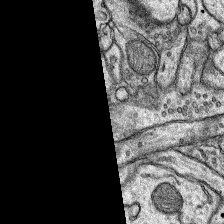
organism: Rat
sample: Hippocampus